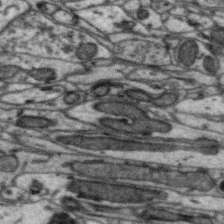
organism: Zebra finch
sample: Brain